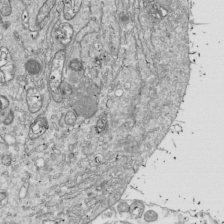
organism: Drosophila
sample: Cell division; meiosis; drosophila spermatocytes